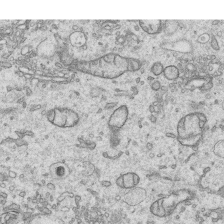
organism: Human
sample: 1205lu cells